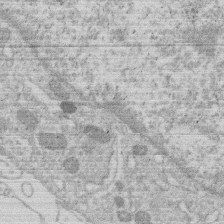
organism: Human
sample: Macrophage cells